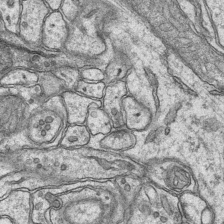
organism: Mouse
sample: CA1 Hippocampus